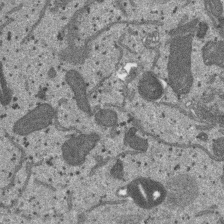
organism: Human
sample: Lung epithelial cells infected with SARS-CoV-2